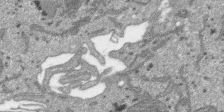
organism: Human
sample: Lung epithelial cells infected with SARS-CoV-2